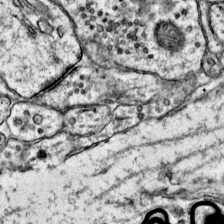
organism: Mouse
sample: Primary visual cortex